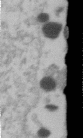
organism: Human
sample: U2-OS cells